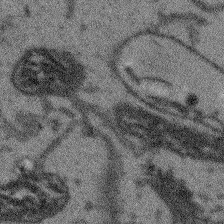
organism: Arabidopsis thaliana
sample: Root tip